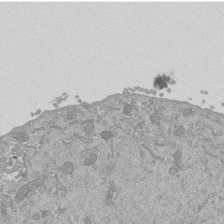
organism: Mouse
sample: ED-1 cell nuclei; centrioles